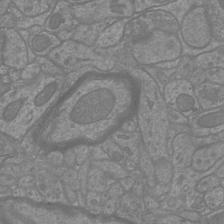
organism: Mouse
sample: Cortical neurons